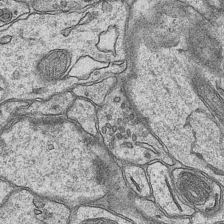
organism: Mouse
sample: CA1 Hippocampus